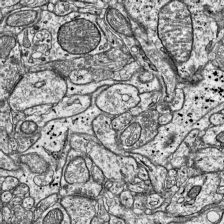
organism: Mouse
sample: Visual Cortex